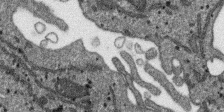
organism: Human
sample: Lung epithelial cells infected with SARS-CoV-2